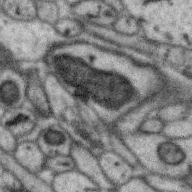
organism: Zebra finch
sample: Brain